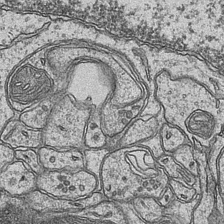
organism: Mouse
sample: CA1 Hippocampus